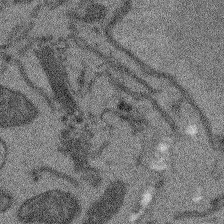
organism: Arabidopsis thaliana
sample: Root tip